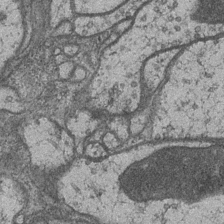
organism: Drosophila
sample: Optic medulla